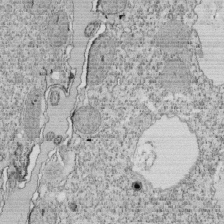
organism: Tetrahymena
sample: Cilia in tetrahymena